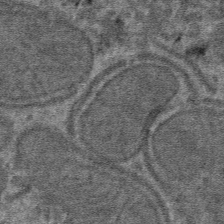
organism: Mouse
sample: Mouse hepatocytes